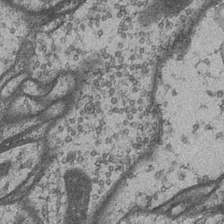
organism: Drosophila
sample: Optic medulla